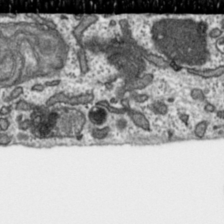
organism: Toxoplasma gondii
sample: Parasites in a vacuole inside a host cell